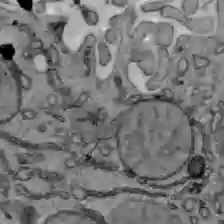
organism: C57BL Mouse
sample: Liver